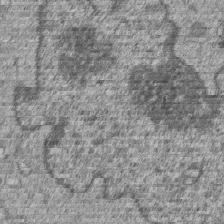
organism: Human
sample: MDA-MB-231 cells